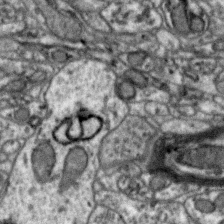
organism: Zebra finch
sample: Brain